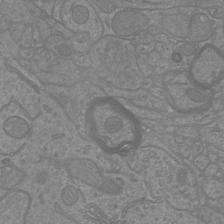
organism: Mouse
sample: Cortical neurons